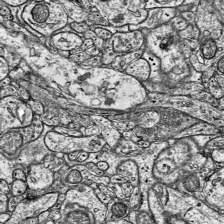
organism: Mouse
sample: Visual Cortex